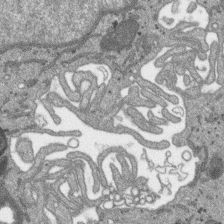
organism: Human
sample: Lung epithelial cells infected with SARS-CoV-2